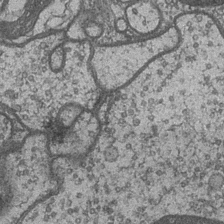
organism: Drosophila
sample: Optic medulla